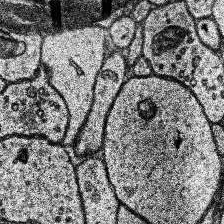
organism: Human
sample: Temporal Lobe